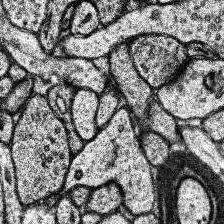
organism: Human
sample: Temporal Lobe